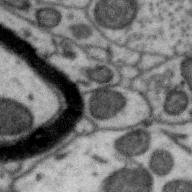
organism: Zebra finch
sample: Brain